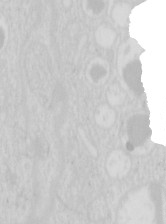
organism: Mouse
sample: Pancreas